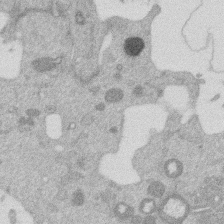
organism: Mouse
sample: Dividing mouse embryo 1 cell stage